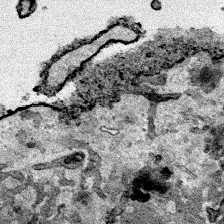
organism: Human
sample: Mitochondria in HCT116 cells